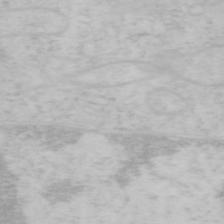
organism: Mouse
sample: OT-I killer T cells with ID8 ovarian cancer cells